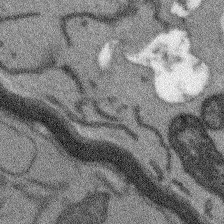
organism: Arabidopsis thaliana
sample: Root tip